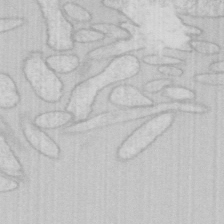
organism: Human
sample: HeLa cells